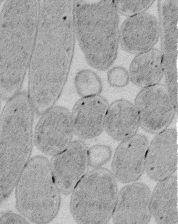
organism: E. coli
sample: Bacterial nucleoid